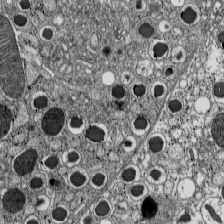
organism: C57BL Mouse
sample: Pancreatic islet